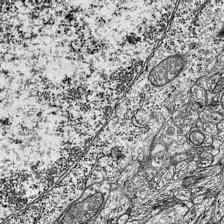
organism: Mouse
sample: Visual Cortex